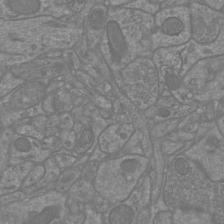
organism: Mouse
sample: Cortical neurons